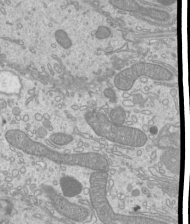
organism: Mouse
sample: Cilia; mouse epididymis